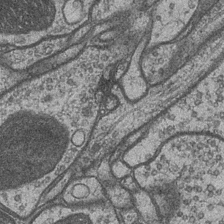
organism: Drosophila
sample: Optic medulla